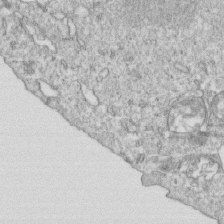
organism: Mouse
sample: Activated OT-1 CD8+ T cells